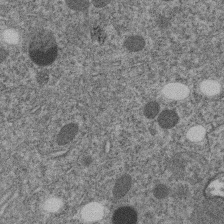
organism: C. elegans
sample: C. elegans embryo early stage